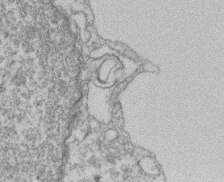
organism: Mouse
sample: T cell stromal cell synapse